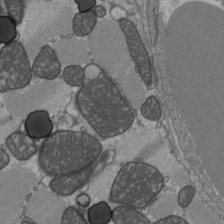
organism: C57BL Mouse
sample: Heart